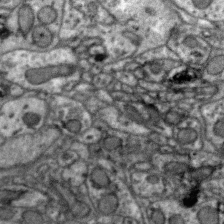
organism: Zebra finch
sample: Brain